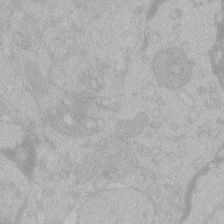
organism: Zebrafish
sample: Macrophage infected with Toxoplasma gondii